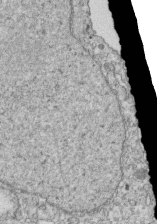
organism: Human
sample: HeLa cell HIV synapse